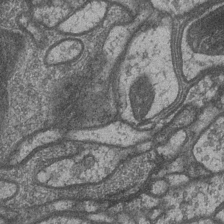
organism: Drosophila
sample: Optic medulla